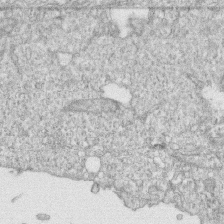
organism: Human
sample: HeLa cell HIV synapse